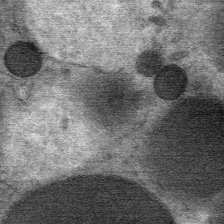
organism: Mouse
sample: Mouse Salivary gland